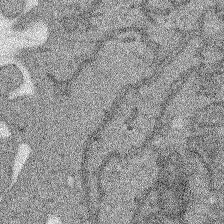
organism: Human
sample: HeLa cells